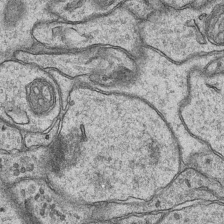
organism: Mouse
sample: CA1 Hippocampus